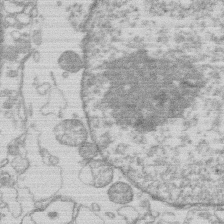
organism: Human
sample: Macrophage cells